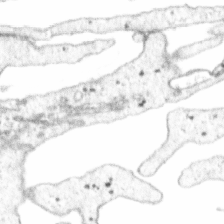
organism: Human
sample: HeLa cells